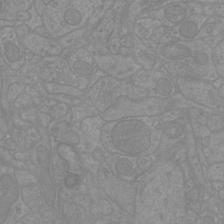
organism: Mouse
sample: Cortical neurons